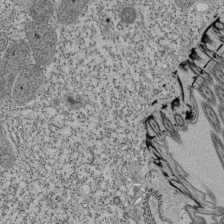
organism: Tetrahymena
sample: Cilia in tetrahymena